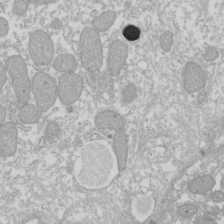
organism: Xenopus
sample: Cilia; centrioles in frog embryo cells